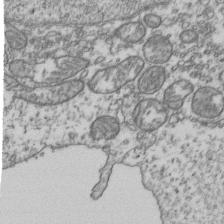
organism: Human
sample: Activated Jurkat CD4+ T cells